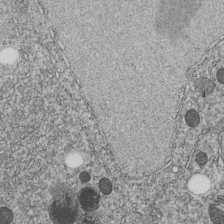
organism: C. elegans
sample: C. elegans embryo early stage